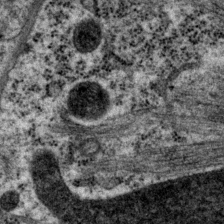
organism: P. pacificus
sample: Pharynx